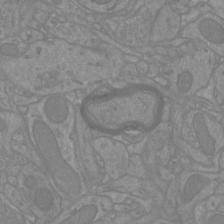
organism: Mouse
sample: Cortical neurons